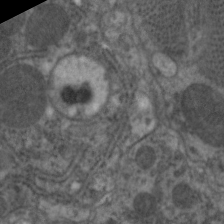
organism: C. elegans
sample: Pharynx